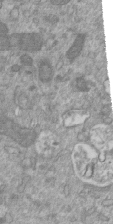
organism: Mouse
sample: ED-1 cell nuclei; centrioles